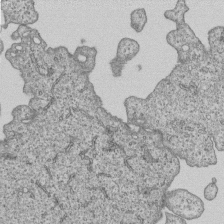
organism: Human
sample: MDA-MB-231 cells